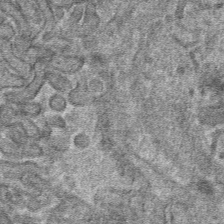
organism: Mouse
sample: Mouse hepatocytes